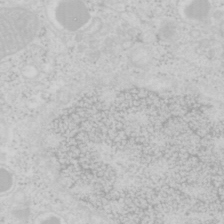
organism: Mouse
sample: Pancreas